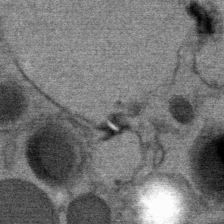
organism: Mouse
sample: Mouse Salivary gland